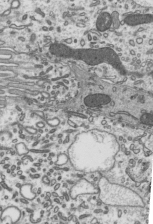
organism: Mouse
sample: Mouse epididymis efferent ductule cilia